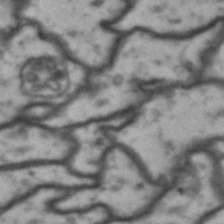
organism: Drosophila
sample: Brain